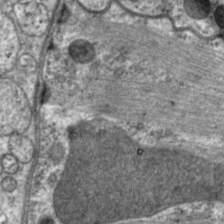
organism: C. elegans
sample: Pharynx